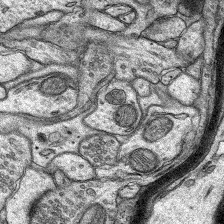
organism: Rat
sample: Hippocampus